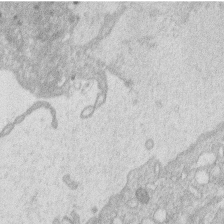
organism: Human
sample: Macrophage cells